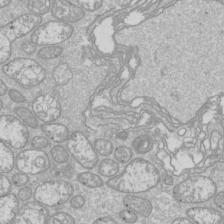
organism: Drosophila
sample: Cell division; meiosis; drosophila spermatocytes